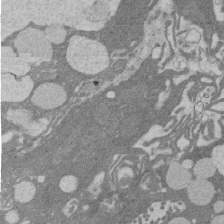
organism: Rat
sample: Salivary granule